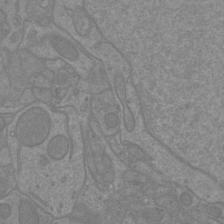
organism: Mouse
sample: Cortical neurons